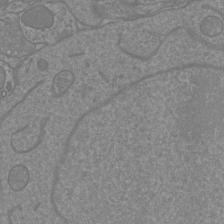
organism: Mouse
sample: Cortical neurons